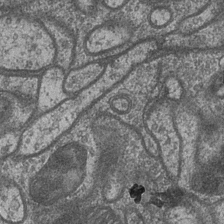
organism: Drosophila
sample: Optic medulla